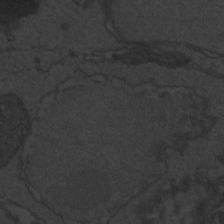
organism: Zebrafish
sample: Macrophage infected with Toxoplasma gondii